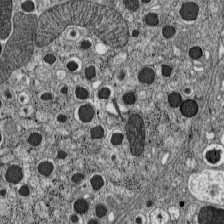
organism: C57BL Mouse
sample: Pancreatic islet